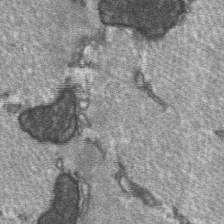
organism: C57BL Mouse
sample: Soleus